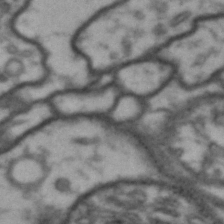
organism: Drosophila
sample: Brain